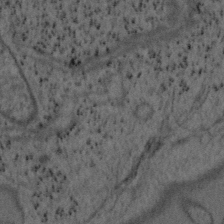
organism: Human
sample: HeLa cells